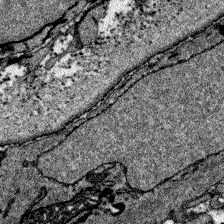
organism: Zebrafish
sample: Larval olfactory bulb